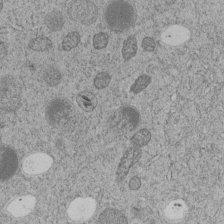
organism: C. elegans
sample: C. elegans embryo early stage